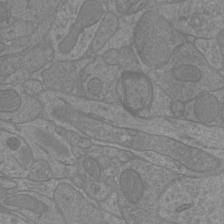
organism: Mouse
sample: Cortical neurons